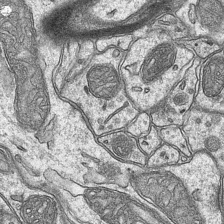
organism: Mouse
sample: CA1 Hippocampus